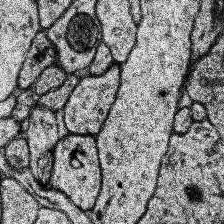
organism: Human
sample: Temporal Lobe